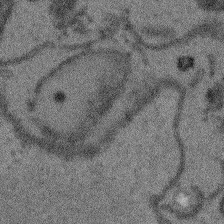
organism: Arabidopsis thaliana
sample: Root tip